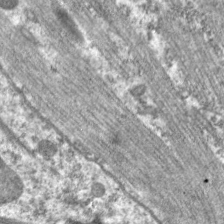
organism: C. elegans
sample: Pharynx